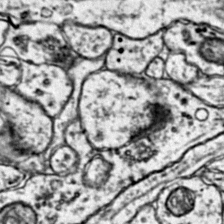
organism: Mouse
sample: Primary visual cortex